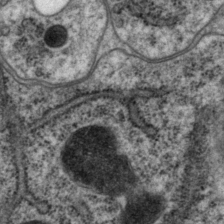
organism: P. pacificus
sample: Pharynx